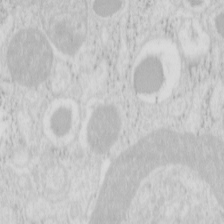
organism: Mouse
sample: Pancreas